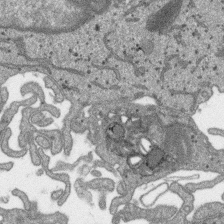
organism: Human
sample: Lung epithelial cells infected with SARS-CoV-2